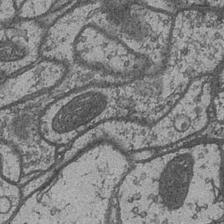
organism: Drosophila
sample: Optic medulla